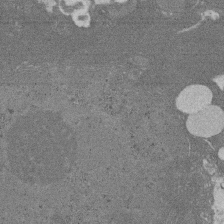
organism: Rat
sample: Salivary granule